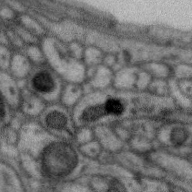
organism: Zebra finch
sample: Brain